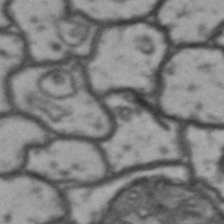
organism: Drosophila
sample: Brain